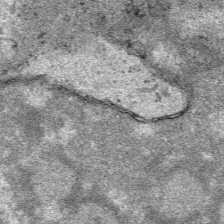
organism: Human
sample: Mitochondria in HCT116 cells